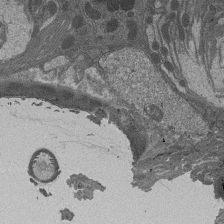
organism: Drosophila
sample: Antenna